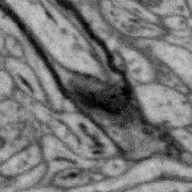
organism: Zebra finch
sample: Brain